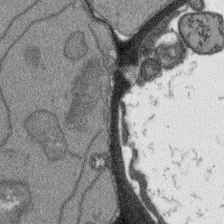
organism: Arabidopsis thaliana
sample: Root tip